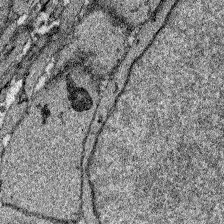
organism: Zebrafish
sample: Larval olfactory bulb